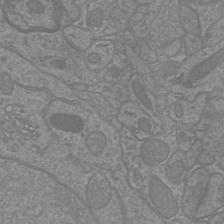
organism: Mouse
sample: Cortical neurons